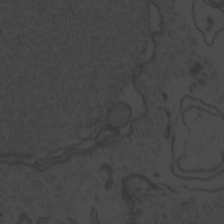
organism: Zebrafish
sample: Macrophage infected with Toxoplasma gondii